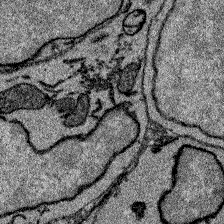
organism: Zebrafish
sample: Larval olfactory bulb